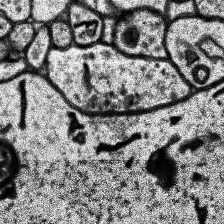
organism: Human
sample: Temporal Lobe